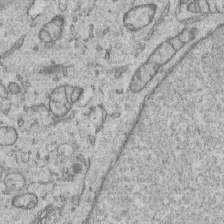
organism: Human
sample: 1205lu cells